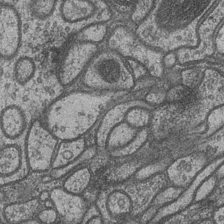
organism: Drosophila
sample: Optic medulla